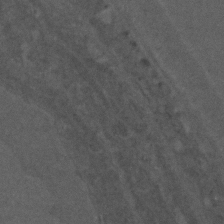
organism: C. elegans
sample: C. elegans embryo